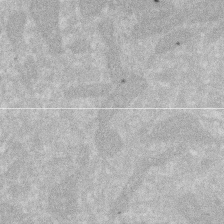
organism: Human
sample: HIV infected U937 cells